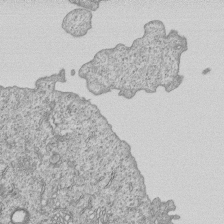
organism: Human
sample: MDA-MB-231 cells